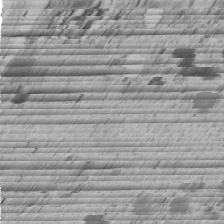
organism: C. elegans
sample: C. elegans embryo early stage